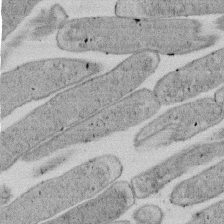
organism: E. coli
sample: Bacterial nucleoid